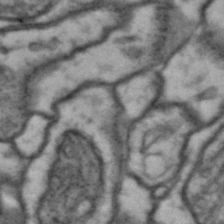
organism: Drosophila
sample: Brain